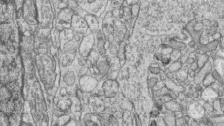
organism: Zebrafish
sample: synaptic ribbons in rod cells and cone cells